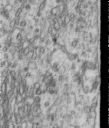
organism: Human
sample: Centriole in RPE cells